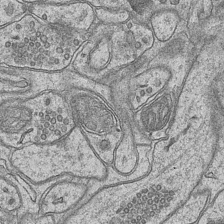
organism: Mouse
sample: CA1 Hippocampus